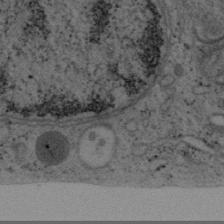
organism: Human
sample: HeLa cells